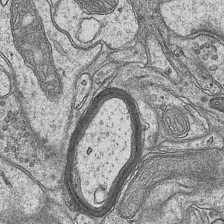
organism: Mouse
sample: CA1 Hippocampus